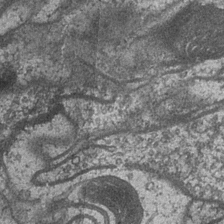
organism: Drosophila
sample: Optic medulla